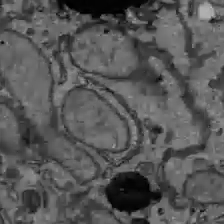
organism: C57BL Mouse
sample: Liver